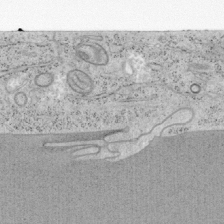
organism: Human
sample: HeLa cells